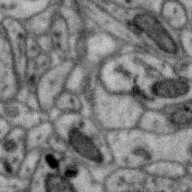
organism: Zebra finch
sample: Brain